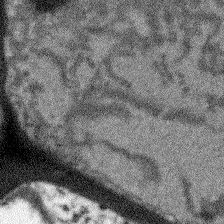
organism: Arabidopsis thaliana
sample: Root tip